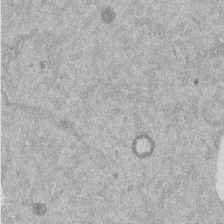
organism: Mouse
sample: Dividing mouse embryo 1 cell stage